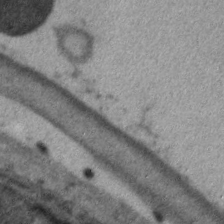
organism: C. elegans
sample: Pharynx